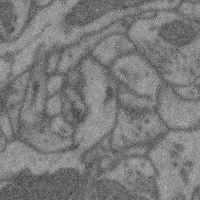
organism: Mouse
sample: Cerebral cortex